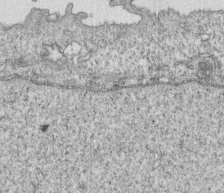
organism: Human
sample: HeLa cell HIV synapse